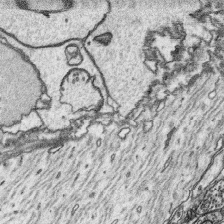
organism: Platynereis dumerilii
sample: Parapodia